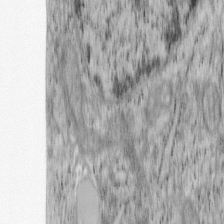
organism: Human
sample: HeLa cells